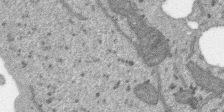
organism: Human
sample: Lung epithelial cells infected with SARS-CoV-2